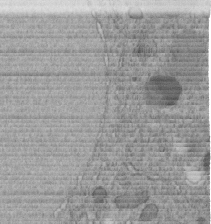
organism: C. elegans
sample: C. elegans embryo early stage